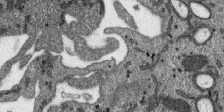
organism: Human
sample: Lung epithelial cells infected with SARS-CoV-2